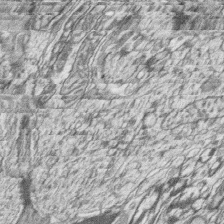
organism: Zebrafish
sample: synaptic ribbons in rod cells and cone cells